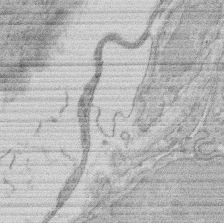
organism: Rat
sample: Salivary granule